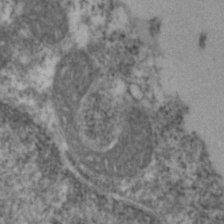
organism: Zebrafish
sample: Zebrafish embryo